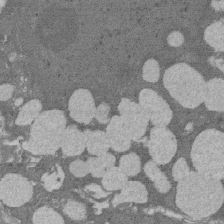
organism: Rat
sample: Salivary granule